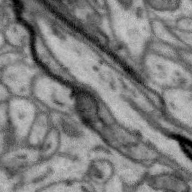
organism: Zebra finch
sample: Brain